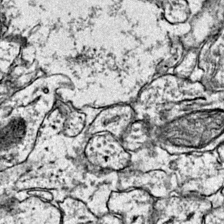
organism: Mouse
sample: Primary visual cortex